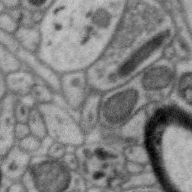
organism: Zebra finch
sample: Brain